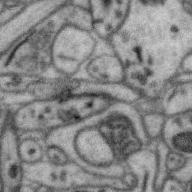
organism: Zebra finch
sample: Brain